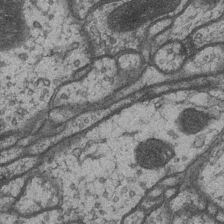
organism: Drosophila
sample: Optic medulla